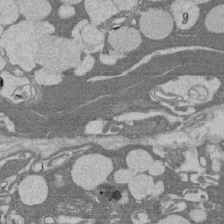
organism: Rat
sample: Salivary granule